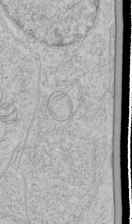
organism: Human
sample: Mitochondria in HCT116 cells